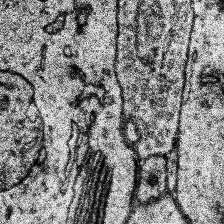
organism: Human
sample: Temporal Lobe